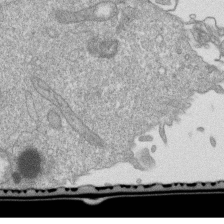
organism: Human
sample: HeLa cell HIV synapse